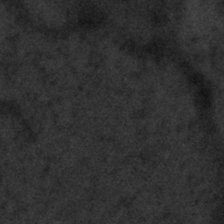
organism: Tuwongella immobilis